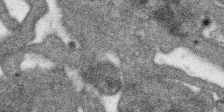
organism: Human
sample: Lung epithelial cells infected with SARS-CoV-2